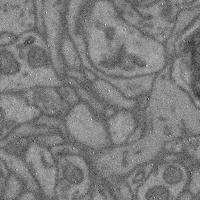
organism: Mouse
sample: Cerebral cortex